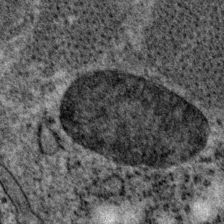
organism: P. pacificus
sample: Pharynx